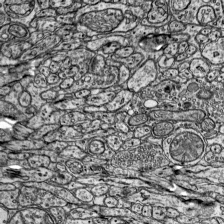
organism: Mouse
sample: Visual Cortex